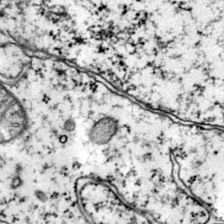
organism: Mouse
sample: Primary visual cortex